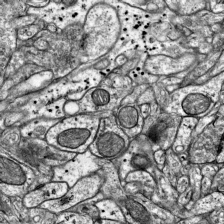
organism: Mouse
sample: Visual Cortex